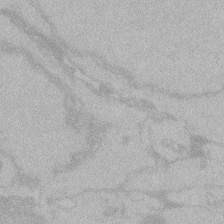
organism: Zebrafish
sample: Macrophage infected with Toxoplasma gondii